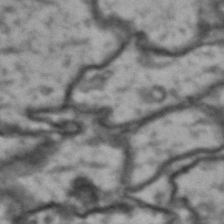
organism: Drosophila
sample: Brain